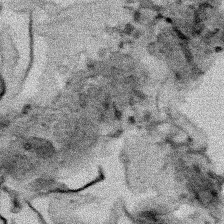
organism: Human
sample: Mitochondria in HCT116 cells